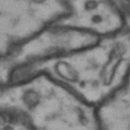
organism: Drosophila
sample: Brain